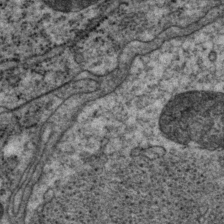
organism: P. pacificus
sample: Pharynx